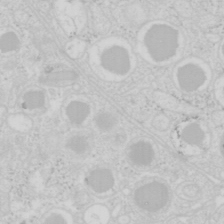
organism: Mouse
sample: Pancreas